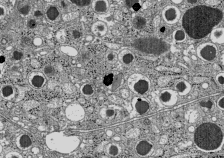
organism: C57BL Mouse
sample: Pancreatic islet